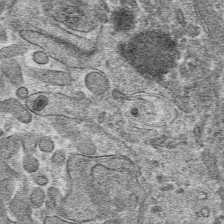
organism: Mouse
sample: Mouse hepatocytes